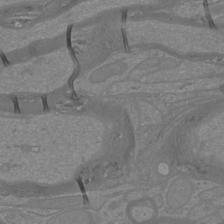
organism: Mouse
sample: Cortical neurons